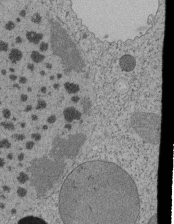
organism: Tetrahymena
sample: Cilia in tetrahymena